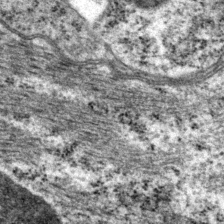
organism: P. pacificus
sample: Pharynx